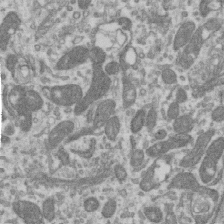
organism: Human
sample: Centriole in RPE cells